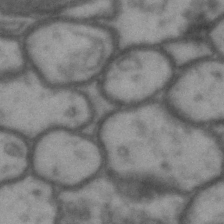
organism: Drosophila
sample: Brain